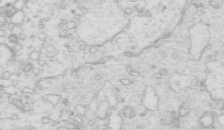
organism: Mouse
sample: Multiciliated cells